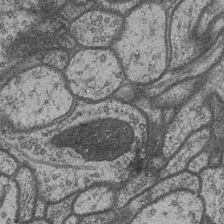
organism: Drosophila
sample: Optic medulla